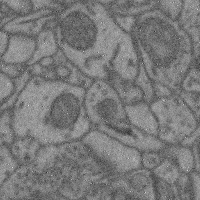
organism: Mouse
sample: Cerebral cortex